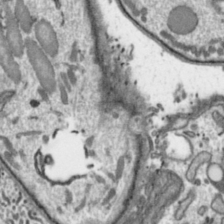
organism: Toxoplasma gondii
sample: Parasites in a vacuole inside a host cell